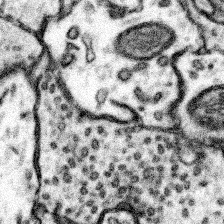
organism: Mouse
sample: Somatosensory cortex neuropil